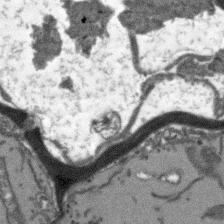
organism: Arabidopsis thaliana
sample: Root tip